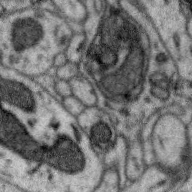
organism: Zebra finch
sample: Brain